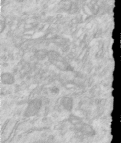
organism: Human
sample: Centriole in RPE cells